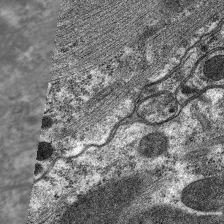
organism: C. elegans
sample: Pharynx